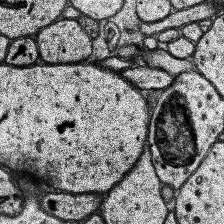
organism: Human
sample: Temporal Lobe